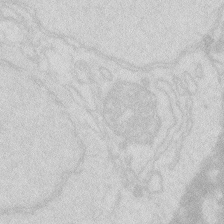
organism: Zebrafish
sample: Macrophage